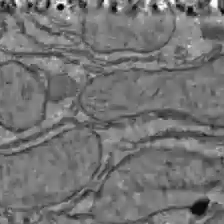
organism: C57BL Mouse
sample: Liver